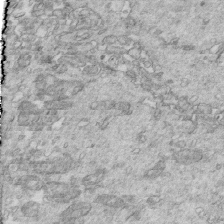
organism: Mouse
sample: Multiciliated cells